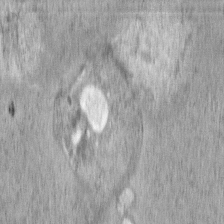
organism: Human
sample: HeLa cells